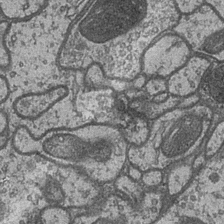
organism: Drosophila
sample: Optic medulla